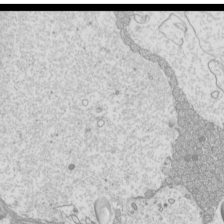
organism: Mouse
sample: Cilia; mouse epididymis